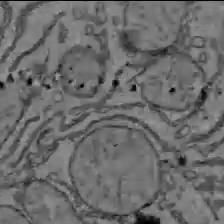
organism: C57BL Mouse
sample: Liver